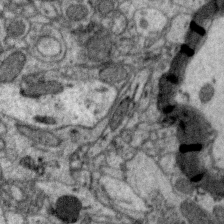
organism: Zebra finch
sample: Brain